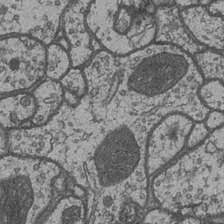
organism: Drosophila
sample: Optic medulla